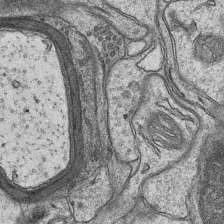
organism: Mouse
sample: CA1 Hippocampus